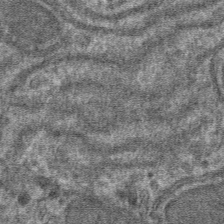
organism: Mouse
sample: Mouse hepatocytes